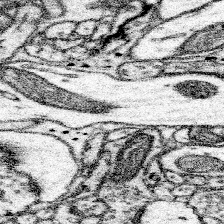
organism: Mouse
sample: Somatosensory cortex neuropil